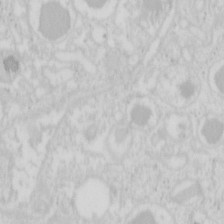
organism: Mouse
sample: Pancreas